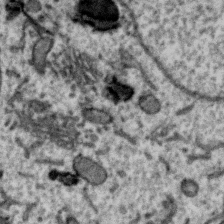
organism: Zebra finch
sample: Brain